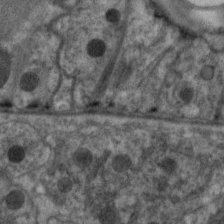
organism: C. elegans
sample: Pharynx